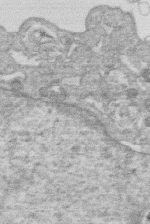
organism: Human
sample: Macrophage cells